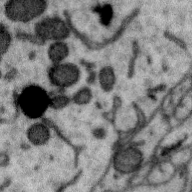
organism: Zebra finch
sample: Brain